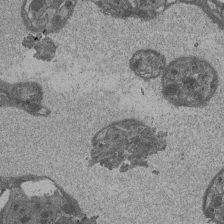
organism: Drosophila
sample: Antenna